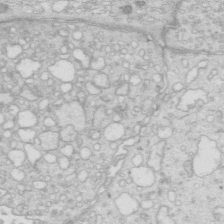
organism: Mouse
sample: Multiciliated cells